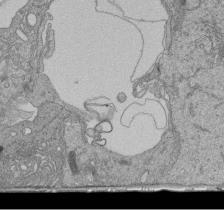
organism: Human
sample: Retinal organoid Rod and Cone cells